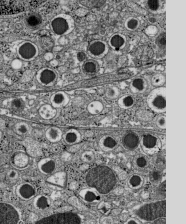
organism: C57BL Mouse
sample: Pancreatic islet